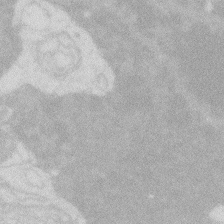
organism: Zebrafish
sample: Macrophage